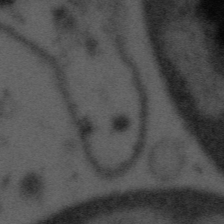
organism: Tuwongella immobilis